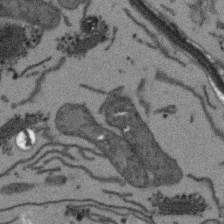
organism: Arabidopsis thaliana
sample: Root tip